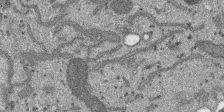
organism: Human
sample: Lung epithelial cells infected with SARS-CoV-2